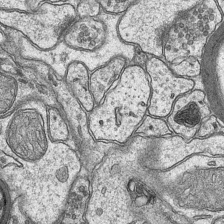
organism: Mouse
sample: CA1 Hippocampus